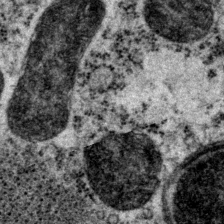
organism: P. pacificus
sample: Pharynx